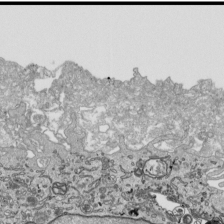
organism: Human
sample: Mitochondria in HCT116 cells